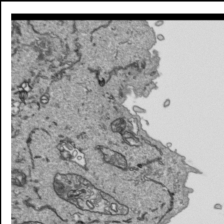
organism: Human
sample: Mitochondria in HCT116 cells